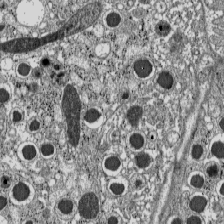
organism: C57BL Mouse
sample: Pancreatic islet